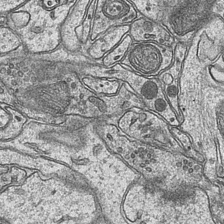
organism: Mouse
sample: CA1 Hippocampus